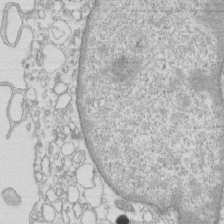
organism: Mouse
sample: Macrophages